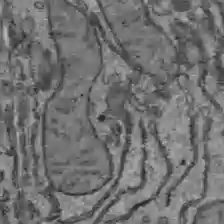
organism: C57BL Mouse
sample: Liver